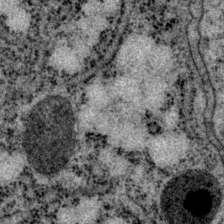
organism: P. pacificus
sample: Pharynx